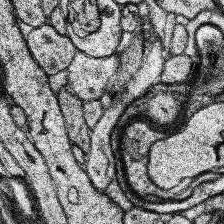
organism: Human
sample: Temporal Lobe